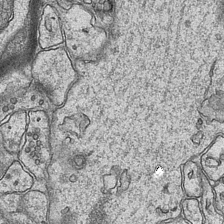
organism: Mouse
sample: CA1 Hippocampus